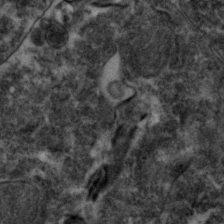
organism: Zebrafish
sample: Zebrafish embryo